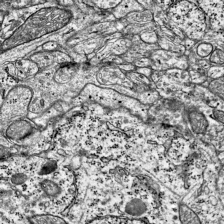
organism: Mouse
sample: Visual Cortex